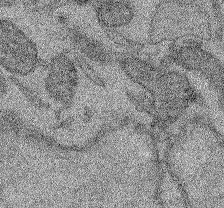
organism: Human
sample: HeLa cells